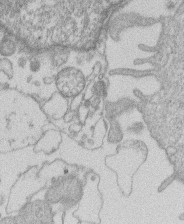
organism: Human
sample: Macrophage cells